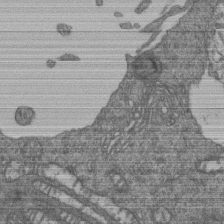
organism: Human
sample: Retinal organoid Rod and Cone cells